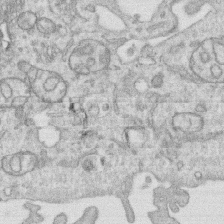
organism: Human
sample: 1205lu cells